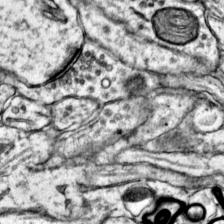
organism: Mouse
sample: Primary visual cortex